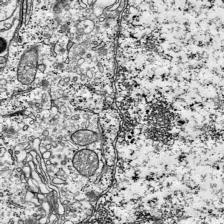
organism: Mouse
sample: Visual Cortex